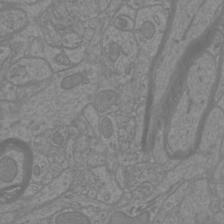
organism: Mouse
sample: Cortical neurons